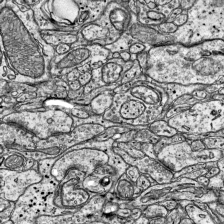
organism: Mouse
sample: Visual Cortex